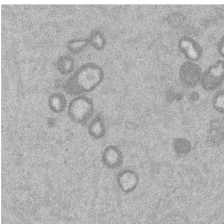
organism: Mouse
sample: Dividing mouse embryo 1 cell stage